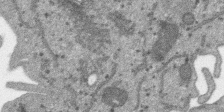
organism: Human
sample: Lung epithelial cells infected with SARS-CoV-2